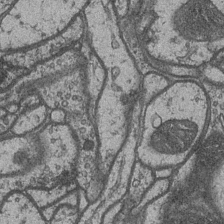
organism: Drosophila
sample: Optic medulla